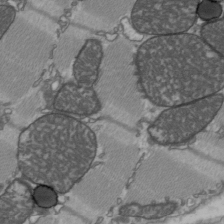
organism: C57BL Mouse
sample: Heart